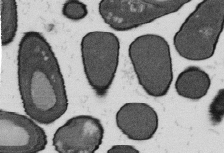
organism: B. subtilis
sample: Bacterial spore